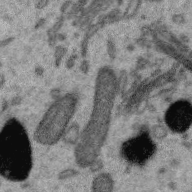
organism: Zebra finch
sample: Brain